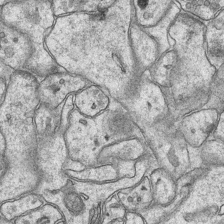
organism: Mouse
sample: CA1 Hippocampus